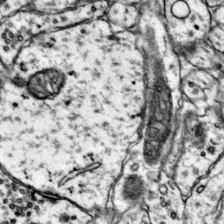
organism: Mouse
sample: Primary visual cortex